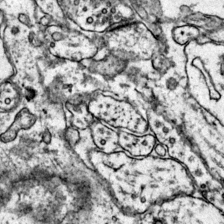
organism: Mouse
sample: Primary visual cortex